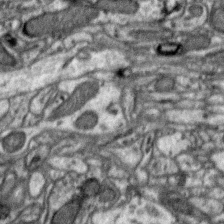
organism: Zebra finch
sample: Brain